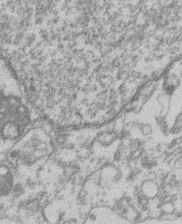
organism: Mouse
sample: T cell stromal cell synapse